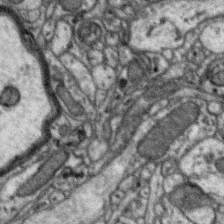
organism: Zebra finch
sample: Brain